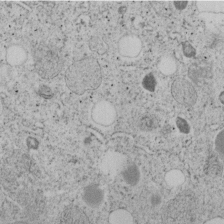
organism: C. elegans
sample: C. elegans embryo early stage